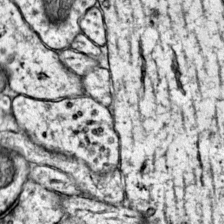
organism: Mouse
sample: Primary visual cortex